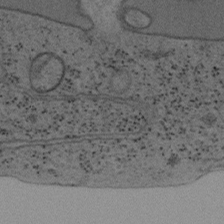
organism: Human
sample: HeLa cells